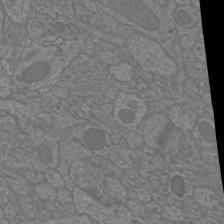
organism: Mouse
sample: Cortical neurons